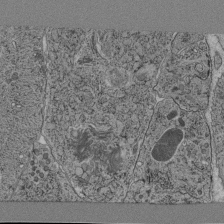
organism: C. elegans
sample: C. elegans pharynx